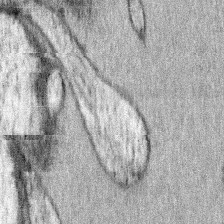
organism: Human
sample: HeLa cells